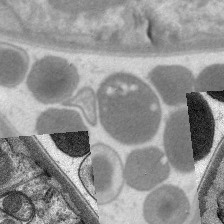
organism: C. elegans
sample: Pharynx